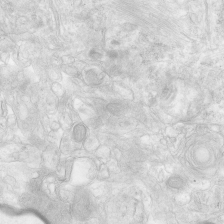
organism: Human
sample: Neocortex